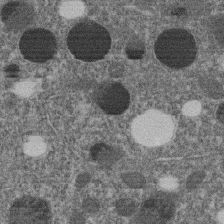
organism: C. elegans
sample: C. elegans embryo early stage